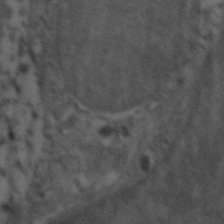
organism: Zebrafish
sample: Zebrafish embryo